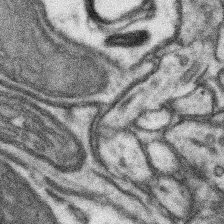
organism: Mouse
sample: Somatosensory cortex neuropil